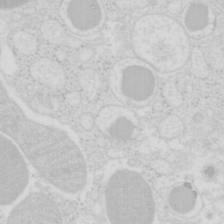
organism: Mouse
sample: Pancreas